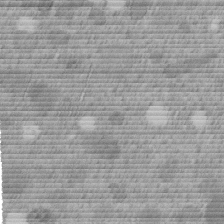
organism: C. elegans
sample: C. elegans embryo early stage